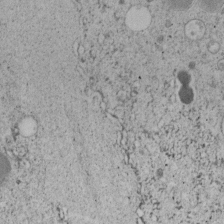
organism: C. elegans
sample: C. elegans embryo early stage